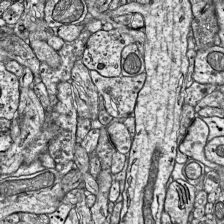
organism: Mouse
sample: Visual Cortex